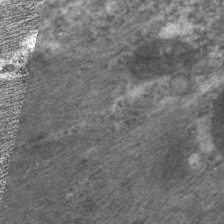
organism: C. elegans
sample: Pharynx